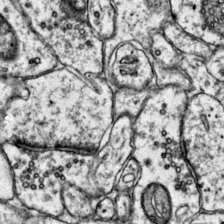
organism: Mouse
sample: Primary visual cortex